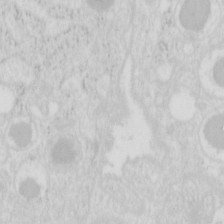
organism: Mouse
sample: Pancreas